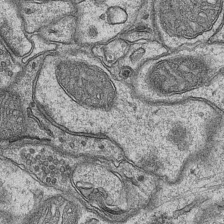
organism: Mouse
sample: CA1 Hippocampus